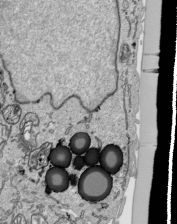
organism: Human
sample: Mitochondria in HCT116 cells